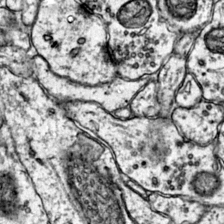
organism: Mouse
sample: Primary visual cortex